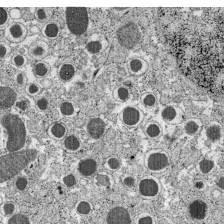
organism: C57BL Mouse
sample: Pancreatic islet